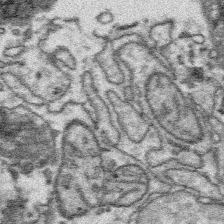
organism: Platynereis dumerilii